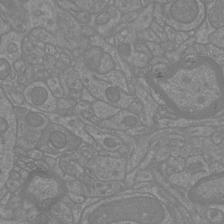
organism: Mouse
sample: Cortical neurons